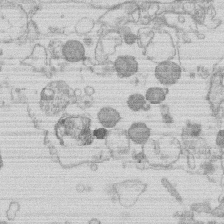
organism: Human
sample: Macrophage cells